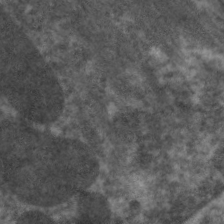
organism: C. elegans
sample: Pharynx